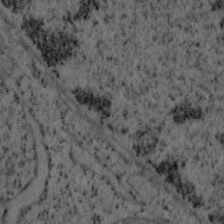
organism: Human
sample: HeLa cells